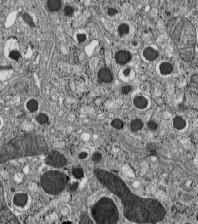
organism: C57BL Mouse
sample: Pancreatic islet